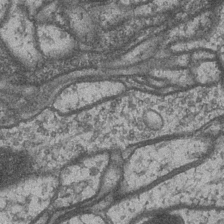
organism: Drosophila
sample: Optic medulla